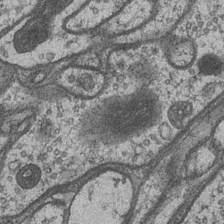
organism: Drosophila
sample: Optic medulla